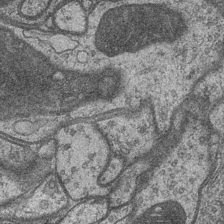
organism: Drosophila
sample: Optic medulla